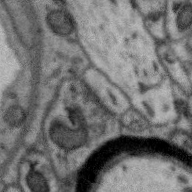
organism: Zebra finch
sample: Brain